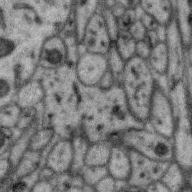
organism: Zebra finch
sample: Brain